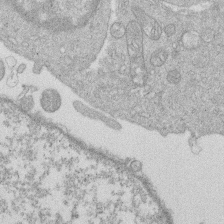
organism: Human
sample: Macrophage cells